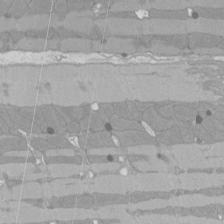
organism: Rat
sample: Left ventricle